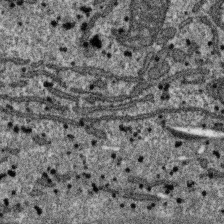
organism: Human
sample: Lung epithelial cells infected with SARS-CoV-2